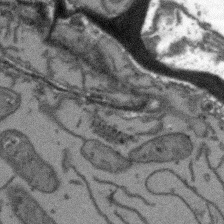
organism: Arabidopsis thaliana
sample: Root tip